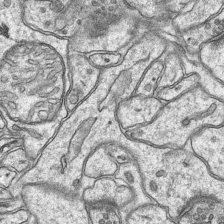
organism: Mouse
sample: CA1 Hippocampus